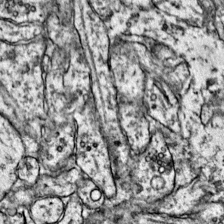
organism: Mouse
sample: Primary visual cortex